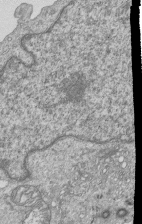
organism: Human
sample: MDA-MB-231 cells